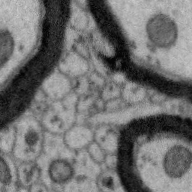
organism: Zebra finch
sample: Brain